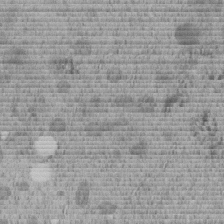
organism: C. elegans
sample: C. elegans embryo early stage